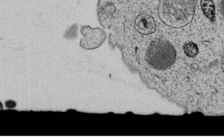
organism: C. elegans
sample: C. elegans embryo early stage